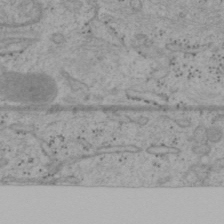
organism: Human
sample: HeLa cells